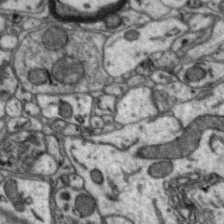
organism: Zebra finch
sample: Brain